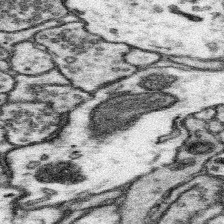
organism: Mouse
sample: Somatosensory cortex neuropil